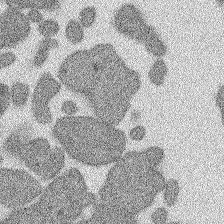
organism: Human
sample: HeLa cells